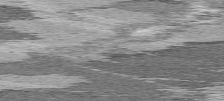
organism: C57BL Mouse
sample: Heart